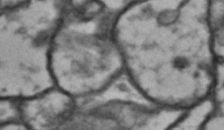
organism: Drosophila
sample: Brain